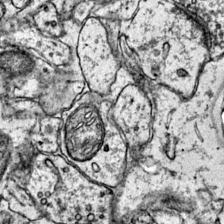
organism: Mouse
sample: Primary visual cortex